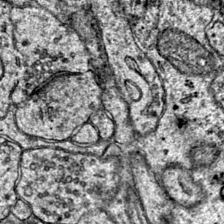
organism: Mouse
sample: Primary visual cortex